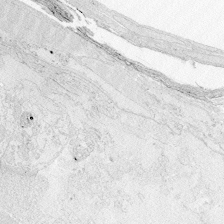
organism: Zebrafish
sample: Whole-Brain